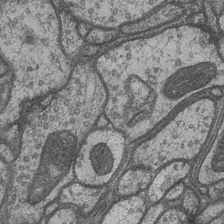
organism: Drosophila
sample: Optic medulla